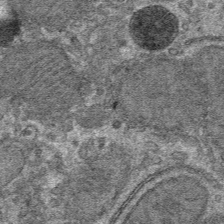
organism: Mouse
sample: Mouse hepatocytes